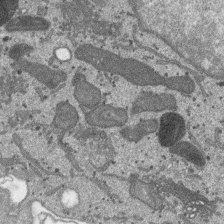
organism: Human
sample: Lung epithelial cells infected with SARS-CoV-2